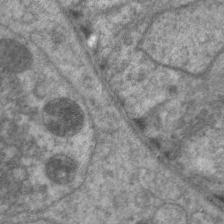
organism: C. elegans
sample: Pharynx